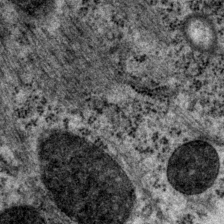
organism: P. pacificus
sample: Pharynx